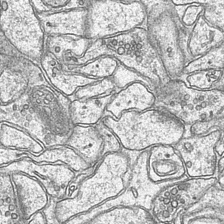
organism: Mouse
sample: CA1 Hippocampus